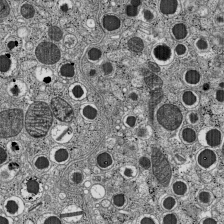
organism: C57BL Mouse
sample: Pancreatic islet